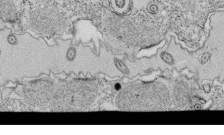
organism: Tetrahymena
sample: Cilia in tetrahymena